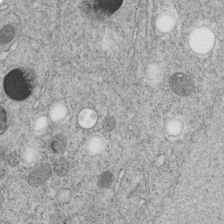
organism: C. elegans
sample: C. elegans embryo early stage